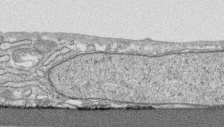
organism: Human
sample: CRL-1474